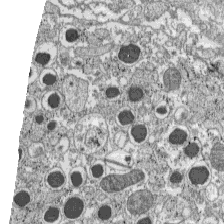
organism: C57BL Mouse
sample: Pancreatic islet